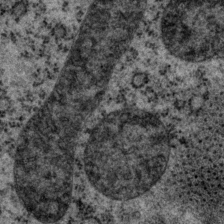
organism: P. pacificus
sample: Pharynx